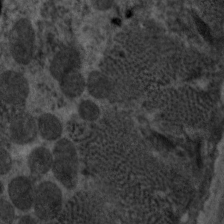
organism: C. elegans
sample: Pharynx